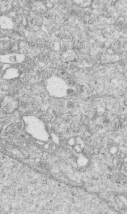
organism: Human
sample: HeLa cell HIV synapse